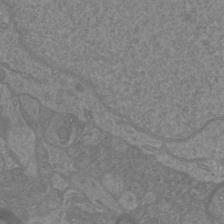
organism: Mouse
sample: Cortical neurons